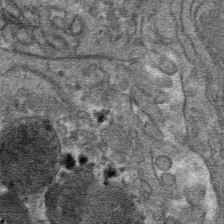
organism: Mouse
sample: Mouse hepatocytes